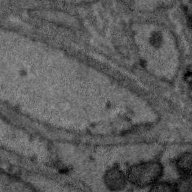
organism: Zebra finch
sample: Brain